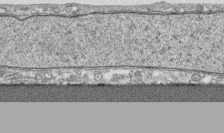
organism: Human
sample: CRL-1474